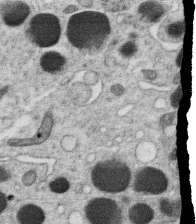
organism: C. elegans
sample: C. elegans oocyte; sperm cells